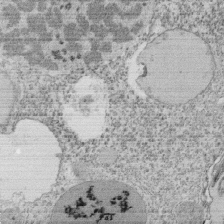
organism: Tetrahymena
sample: Cilia in tetrahymena